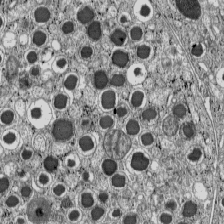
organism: C57BL Mouse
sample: Pancreatic islet